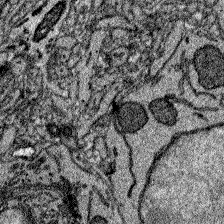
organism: Zebrafish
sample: Larval olfactory bulb